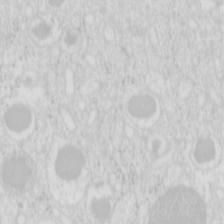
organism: Mouse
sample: Pancreas